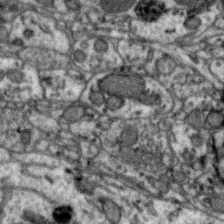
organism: Zebra finch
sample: Brain